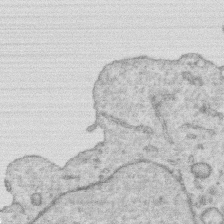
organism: Human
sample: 1205lu cells